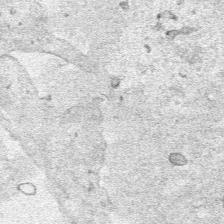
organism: Human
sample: Mitochondria in HCT116 cells